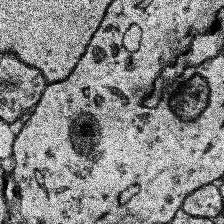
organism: Human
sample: Temporal Lobe